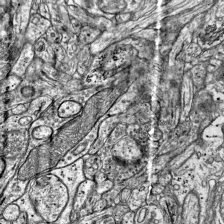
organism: Mouse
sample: Visual Cortex